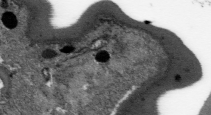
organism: Plasmodium falciparum